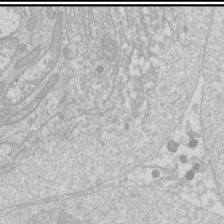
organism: Drosophila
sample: Cell division; meiosis; drosophila spermatocytes